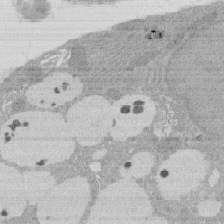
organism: Rat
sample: Salivary granule